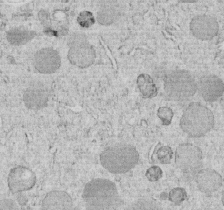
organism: C. elegans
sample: C. elegans embryo early stage